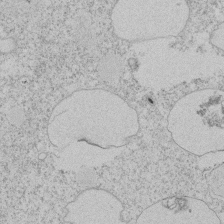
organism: Tetrahymena